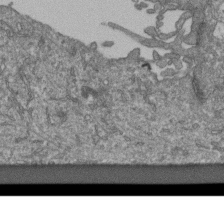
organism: Human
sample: Retinal organoid Rod and Cone cells